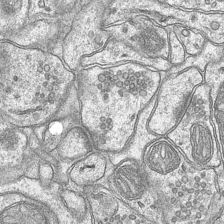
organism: Mouse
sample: CA1 Hippocampus